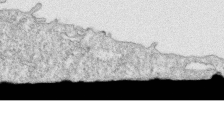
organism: Human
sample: HeLa cell HIV synapse